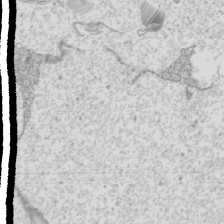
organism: Mouse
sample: Cilia; mouse epididymis